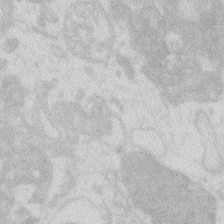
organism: Zebrafish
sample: Macrophage